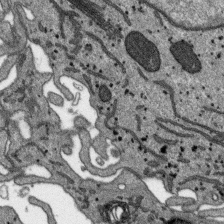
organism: Human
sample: Lung epithelial cells, uninfected (mock) control